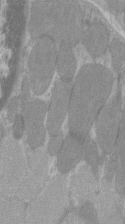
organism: C57BL Mouse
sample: Tibialis anterior muscle cell